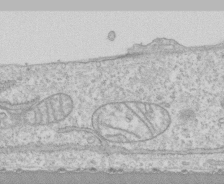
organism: Human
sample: CRL-1474